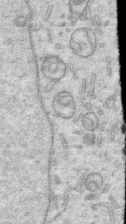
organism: Human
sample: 1205lu cells